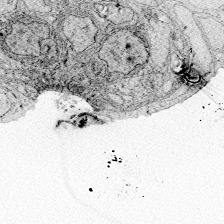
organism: Zebrafish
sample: Whole-Brain